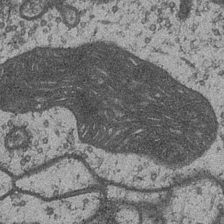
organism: Drosophila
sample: Optic medulla